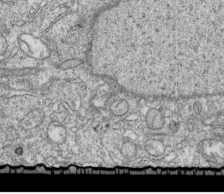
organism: Human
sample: HeLa cell HIV synapse